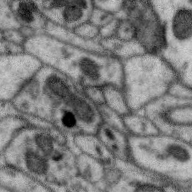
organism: Zebra finch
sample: Brain